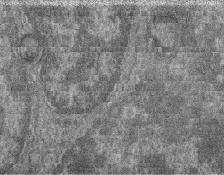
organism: Zebrafish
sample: Cilia; retinal pigment epithelium